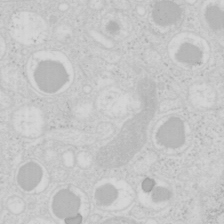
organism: Mouse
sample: Pancreas